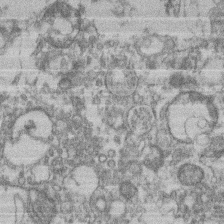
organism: Mouse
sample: T cell stromal cell synapse